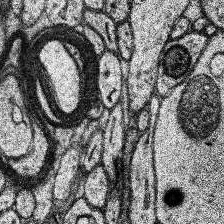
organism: Human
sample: Temporal Lobe